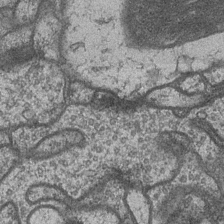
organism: Drosophila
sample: Optic medulla